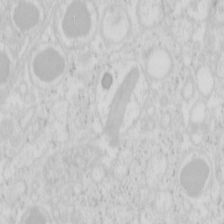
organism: Mouse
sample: Pancreas